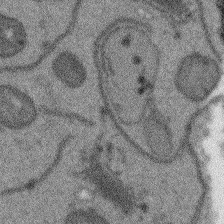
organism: Arabidopsis thaliana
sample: Root tip